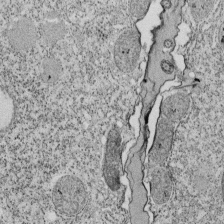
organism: Tetrahymena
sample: Cilia in tetrahymena